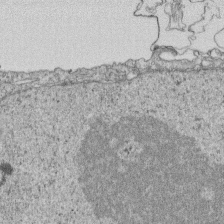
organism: Human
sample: HeLa cell HIV synapse